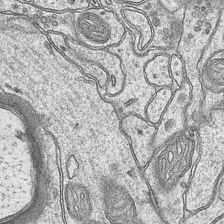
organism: Mouse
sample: CA1 Hippocampus